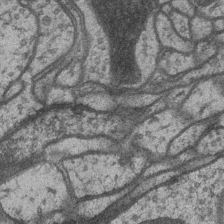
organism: Drosophila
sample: Optic medulla